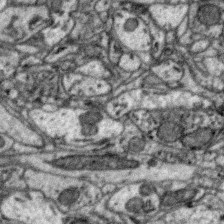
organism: Zebra finch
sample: Brain